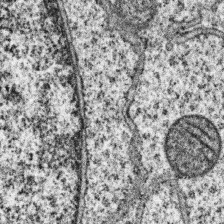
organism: Human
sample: HeLa cells